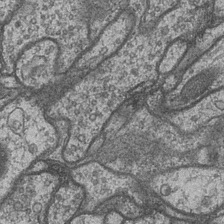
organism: Drosophila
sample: Optic medulla